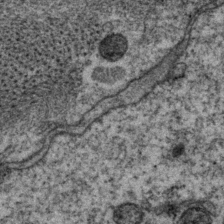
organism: P. pacificus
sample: Pharynx